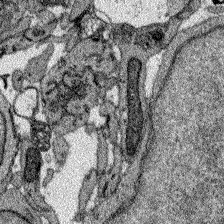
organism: Zebrafish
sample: Larval olfactory bulb